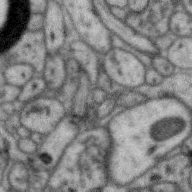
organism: Zebra finch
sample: Brain